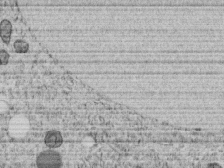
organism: C. elegans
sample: C. elegans embryo early stage